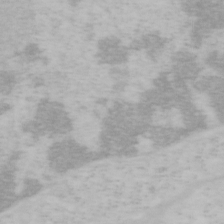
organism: Mouse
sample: OT-I killer T cells with ID8 ovarian cancer cells